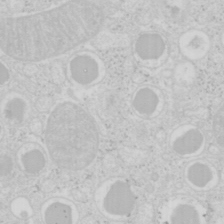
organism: Mouse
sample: Pancreas